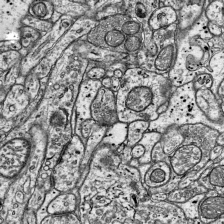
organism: Mouse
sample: Visual Cortex